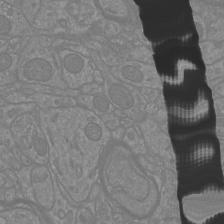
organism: Mouse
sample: Cortical neurons